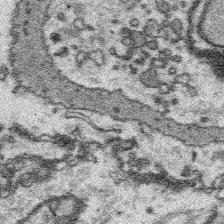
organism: Platynereis dumerilii